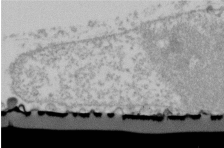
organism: Human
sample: U2-OS cells